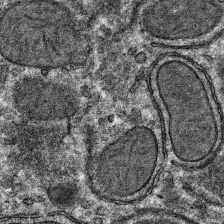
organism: Mouse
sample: Mouse hepatocytes